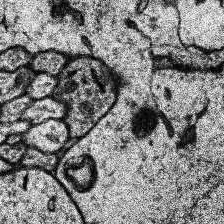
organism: Human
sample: Temporal Lobe